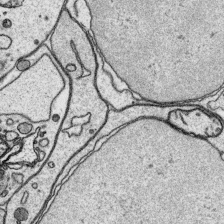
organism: Platynereis dumerilii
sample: Parapodia